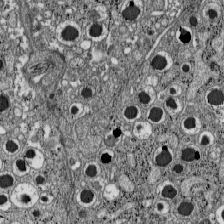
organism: C57BL Mouse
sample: Pancreatic islet